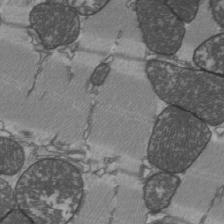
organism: C57BL Mouse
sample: Heart